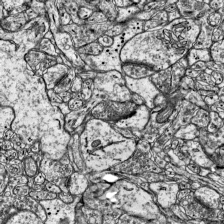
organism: Mouse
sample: Visual Cortex